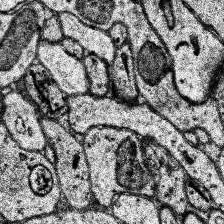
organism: Human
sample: Temporal Lobe